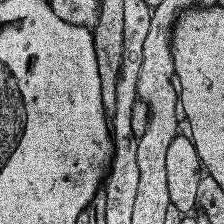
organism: Human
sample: Temporal Lobe